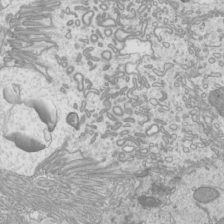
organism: Mouse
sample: Cilia; mouse epididymis